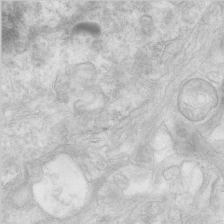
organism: Human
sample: Neocortex